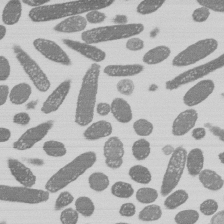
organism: E. coli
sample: Bacterial nucleoid